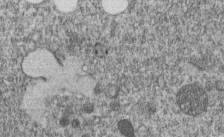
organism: C. elegans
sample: C. elegans embryo early stage